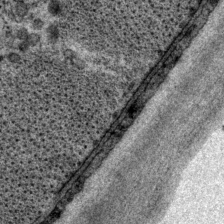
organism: P. pacificus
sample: Pharynx